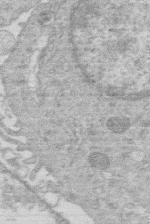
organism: Human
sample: Macrophage cells